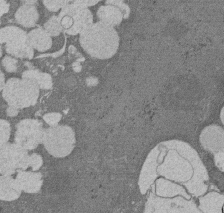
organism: Rat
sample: Salivary granule